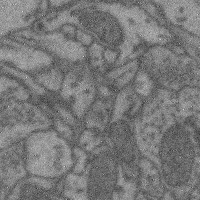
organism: Mouse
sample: Cerebral cortex